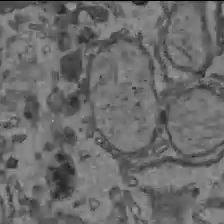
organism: C57BL Mouse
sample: Liver